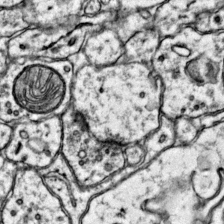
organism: Mouse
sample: Primary visual cortex